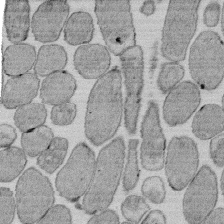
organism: E. coli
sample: Bacterial nucleoid